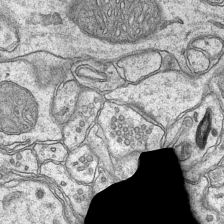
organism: Mouse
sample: CA1 Hippocampus